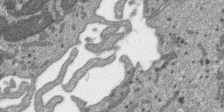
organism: Human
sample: Lung epithelial cells infected with SARS-CoV-2